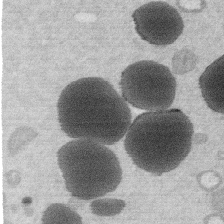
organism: Mouse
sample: Dividing mouse embryo 1 cell stage